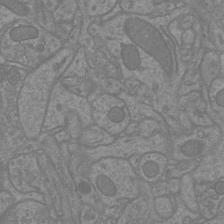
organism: Mouse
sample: Cortical neurons